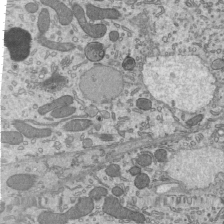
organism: Mouse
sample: Mouse epididymis efferent ductule cilia